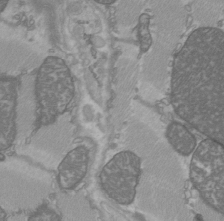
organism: C57BL Mouse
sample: Heart